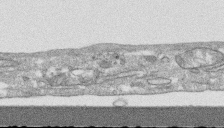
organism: Human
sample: CRL-1474